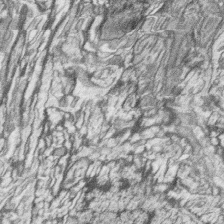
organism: Zebrafish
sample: synaptic ribbons in rod cells and cone cells